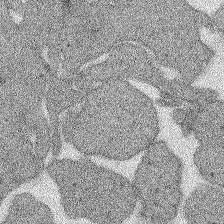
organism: Human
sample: HeLa cells